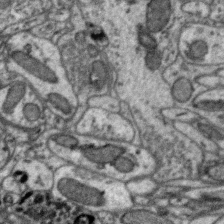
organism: Zebra finch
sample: Brain